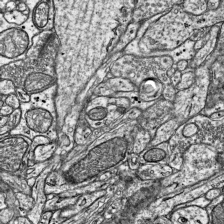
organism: Mouse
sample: Visual Cortex